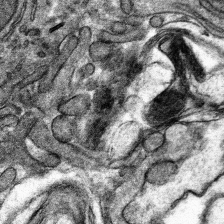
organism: Mouse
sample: Mouse hepatocytes